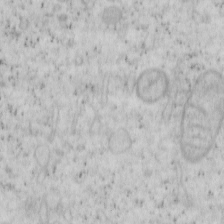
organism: Human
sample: HeLa cells